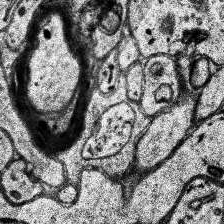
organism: Human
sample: Temporal Lobe